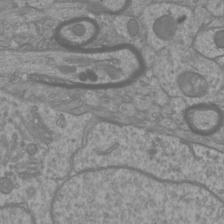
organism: Mouse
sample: Cortical neurons